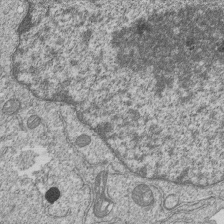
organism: Human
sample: MDA-MB-231 cells